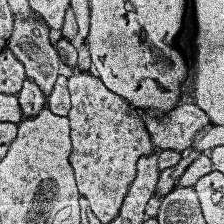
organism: Human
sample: Temporal Lobe